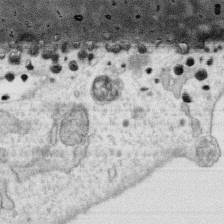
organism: Human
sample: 1205lu cells